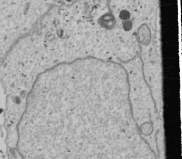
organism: Human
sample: Mitochondria in U2OS cells